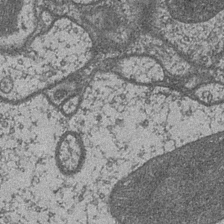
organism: Drosophila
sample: Optic medulla